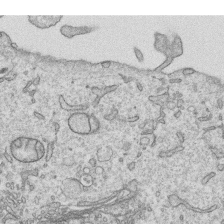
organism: Human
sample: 1205lu cells